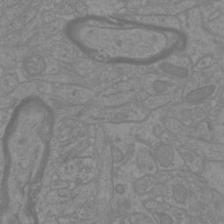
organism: Mouse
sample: Cortical neurons